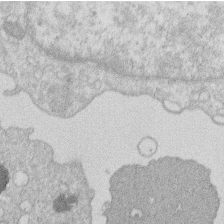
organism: Human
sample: Macrophage cells